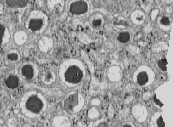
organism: C57BL Mouse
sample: Pancreatic islet